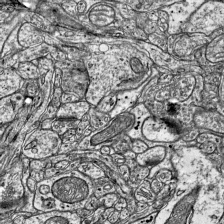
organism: Mouse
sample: Visual Cortex